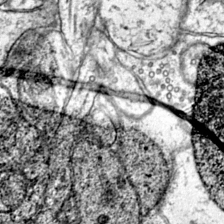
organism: Mouse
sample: Primary visual cortex